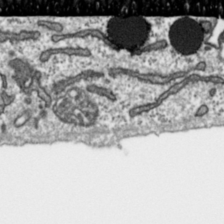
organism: Toxoplasma gondii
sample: Parasites in a vacuole inside a host cell